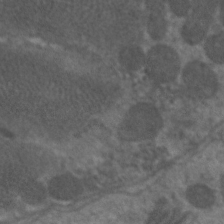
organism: C. elegans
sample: Pharynx